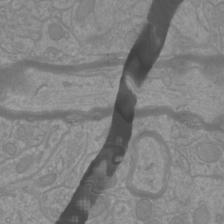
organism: Mouse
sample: Cortical neurons